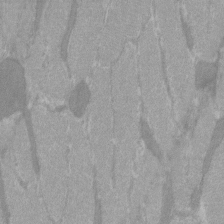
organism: C57BL Mouse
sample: Tibialis anterior muscle cell